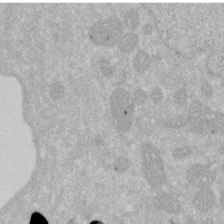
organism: Human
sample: HIV infected U937 cells